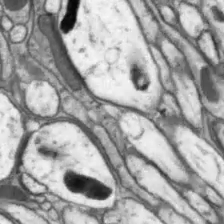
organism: Drosophila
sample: Optic lobe